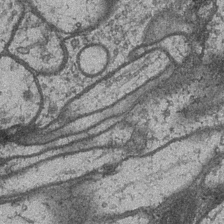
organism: Drosophila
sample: Optic medulla